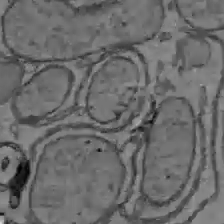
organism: C57BL Mouse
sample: Liver